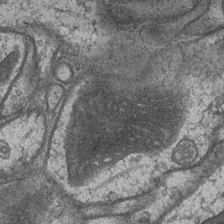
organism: Drosophila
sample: Optic medulla